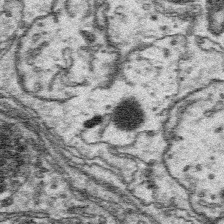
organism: Platynereis dumerilii